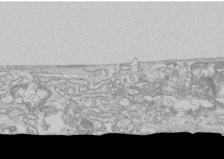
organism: Human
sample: CRL-1474